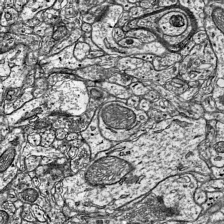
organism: Mouse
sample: Visual Cortex